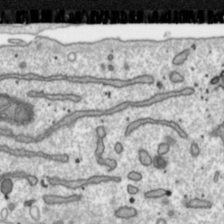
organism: Toxoplasma gondii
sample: Parasites in a vacuole inside a host cell